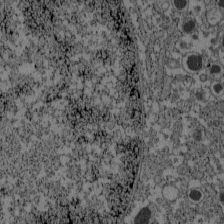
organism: C57BL Mouse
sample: Pancreatic islet